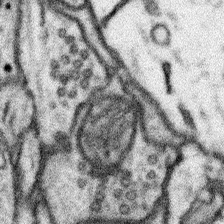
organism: Mouse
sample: Somatosensory cortex neuropil